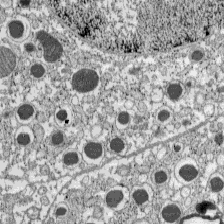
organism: C57BL Mouse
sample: Pancreatic islet